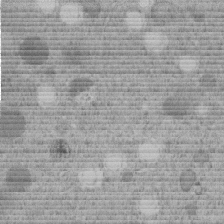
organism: C. elegans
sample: C. elegans embryo early stage